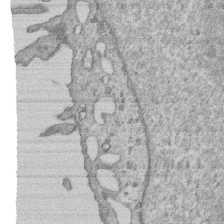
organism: Human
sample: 1205lu cells